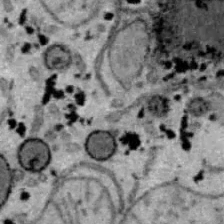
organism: Mouse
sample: Liver from an obese (ob/ob) mouse